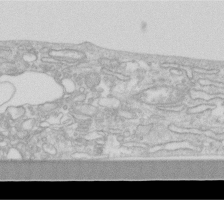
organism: Human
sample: Fibroblast cells